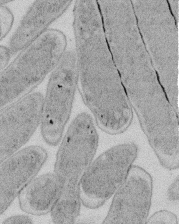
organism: E. coli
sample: Bacterial nucleoid